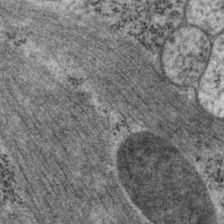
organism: P. pacificus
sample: Pharynx